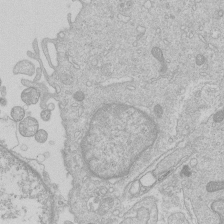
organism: Human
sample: Macrophage cells